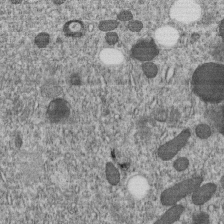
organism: C. elegans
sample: C. elegans embryo early stage